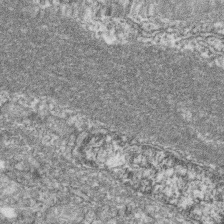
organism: Zebrafish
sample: Cilia; retinal pigment epithelium